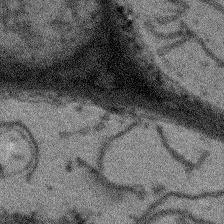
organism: Arabidopsis thaliana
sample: Root tip